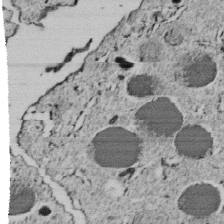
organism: C. elegans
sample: C. elegans embryo early stage